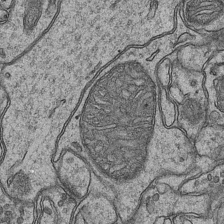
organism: Mouse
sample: CA1 Hippocampus